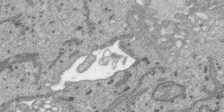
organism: Human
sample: Lung epithelial cells infected with SARS-CoV-2